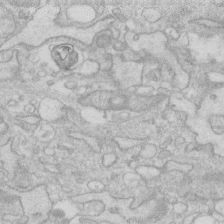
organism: Human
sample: Fibroblast cells